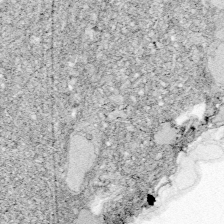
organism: Zebrafish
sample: Whole-Brain